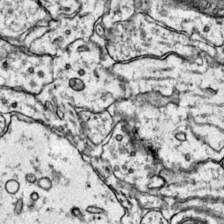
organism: Mouse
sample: Primary visual cortex